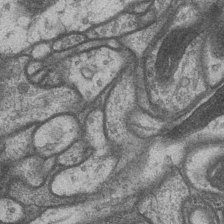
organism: Drosophila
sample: Optic medulla